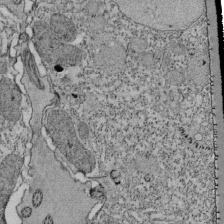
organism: Tetrahymena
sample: Cilia in tetrahymena